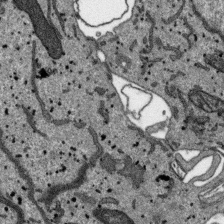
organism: Human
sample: Lung epithelial cells, uninfected (mock) control